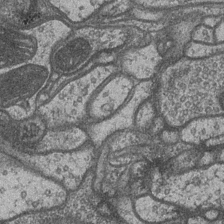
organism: Drosophila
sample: Optic medulla